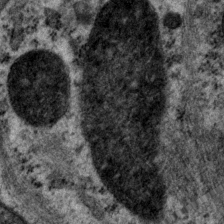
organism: P. pacificus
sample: Pharynx